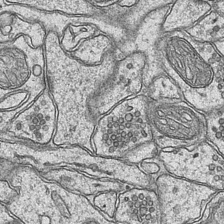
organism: Mouse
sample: CA1 Hippocampus